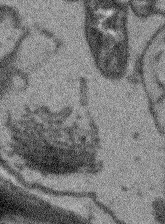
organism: Arabidopsis thaliana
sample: Root tip